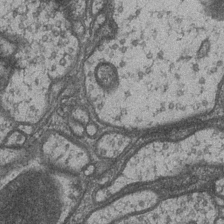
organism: Drosophila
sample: Optic medulla